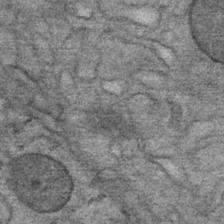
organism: Mouse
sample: Mouse Salivary gland